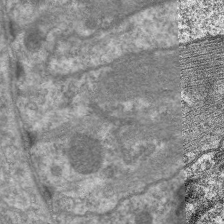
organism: C. elegans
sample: Pharynx